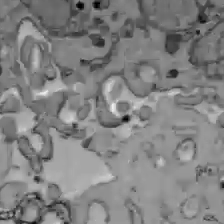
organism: C57BL Mouse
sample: Liver